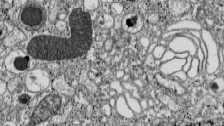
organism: C57BL Mouse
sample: Pancreatic islet